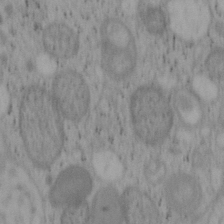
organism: Mouse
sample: OT-I killer T cells with ID8 ovarian cancer cells